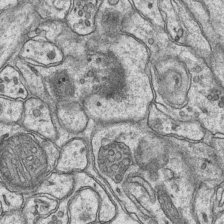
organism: Mouse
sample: CA1 Hippocampus